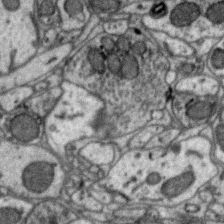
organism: Zebra finch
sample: Brain